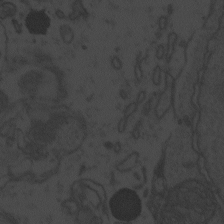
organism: Zebrafish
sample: Macrophage infected with Toxoplasma gondii